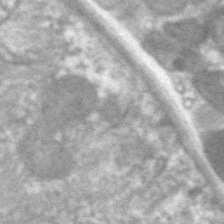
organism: C. elegans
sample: Pharynx